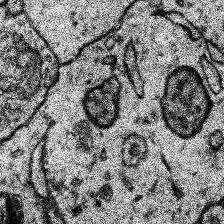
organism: Human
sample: Temporal Lobe